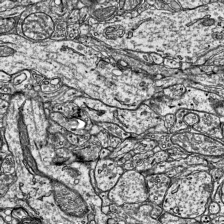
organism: Mouse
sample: Visual Cortex